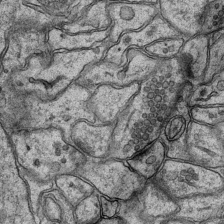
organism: Mouse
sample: CA1 Hippocampus